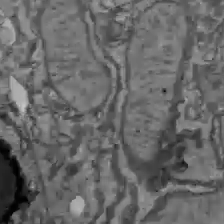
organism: C57BL Mouse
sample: Liver